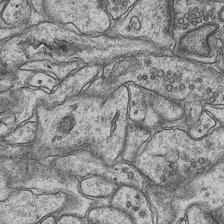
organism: Mouse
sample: CA1 Hippocampus